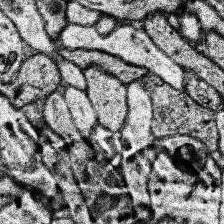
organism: Human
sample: Temporal Lobe